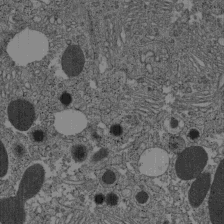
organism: C57BL Mouse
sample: Pancreatic islet